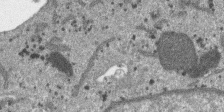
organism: Human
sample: Lung epithelial cells infected with SARS-CoV-2